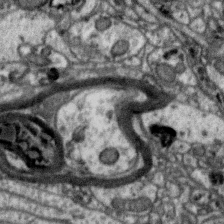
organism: Zebra finch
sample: Brain